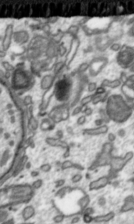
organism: Toxoplasma gondii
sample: Parasites in a vacuole inside a host cell